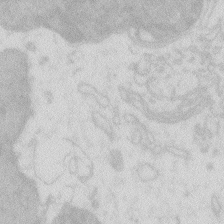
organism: Zebrafish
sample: Macrophage